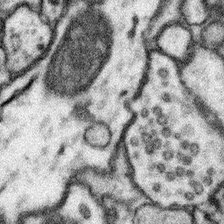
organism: Mouse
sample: Somatosensory cortex neuropil